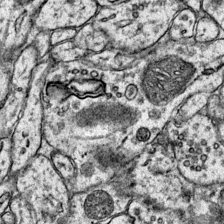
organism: Mouse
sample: Primary visual cortex